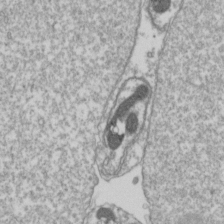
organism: Drosophila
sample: Cell division; meiosis; drosophila spermatocytes